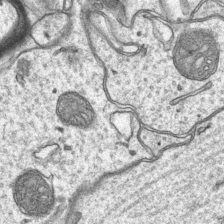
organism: Mouse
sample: CA1 Hippocampus